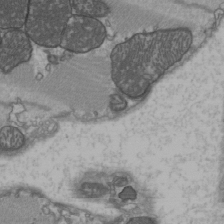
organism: C57BL Mouse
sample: Heart